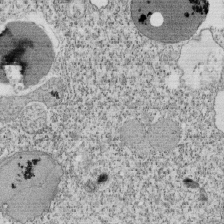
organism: Tetrahymena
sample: Cilia in tetrahymena